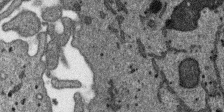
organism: Human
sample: Lung epithelial cells infected with SARS-CoV-2